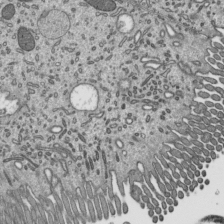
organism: Mouse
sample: Mouse epididymis efferent ductule cilia